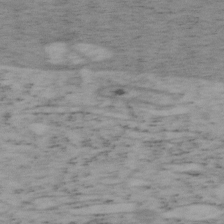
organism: Mouse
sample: OT-I killer T cells with ID8 ovarian cancer cells